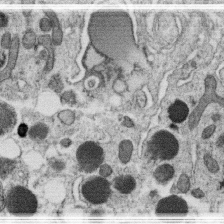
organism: C. elegans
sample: C. elegans oocyte; sperm cells